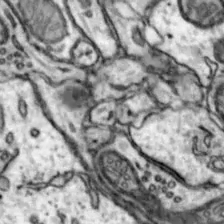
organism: Mouse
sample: Nucleus accumbens